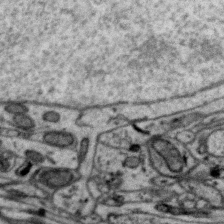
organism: Zebra finch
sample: Brain